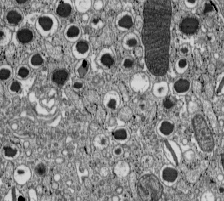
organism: C57BL Mouse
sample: Pancreatic islet